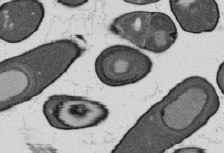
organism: B. subtilis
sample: Bacterial spore